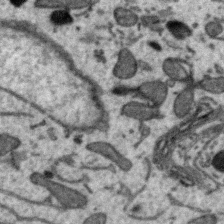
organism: Zebra finch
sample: Brain